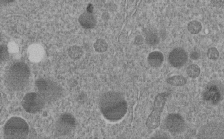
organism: C. elegans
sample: C. elegans embryo early stage